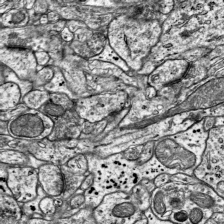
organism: Mouse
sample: Visual Cortex